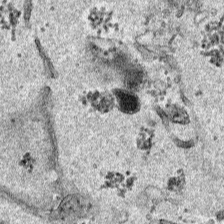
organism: Human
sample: Mitochondria in HCT116 cells